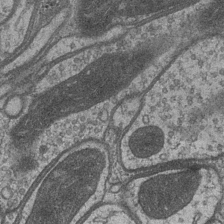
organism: Drosophila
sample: Optic medulla